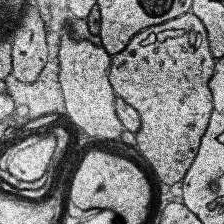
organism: Human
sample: Temporal Lobe